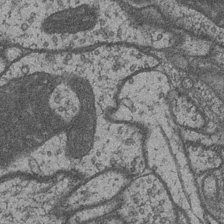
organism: Drosophila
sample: Optic medulla